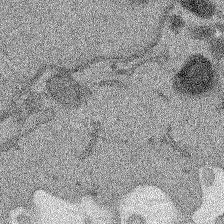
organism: Human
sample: HeLa cells